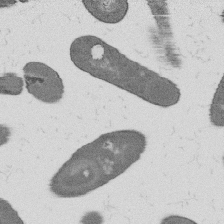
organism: B. subtilis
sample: Bacterial spore